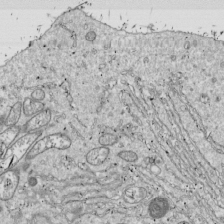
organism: Drosophila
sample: Cell division; meiosis; drosophila spermatocytes